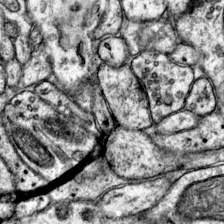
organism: Mouse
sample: Primary visual cortex